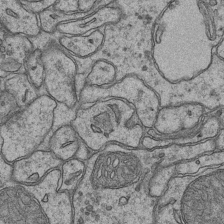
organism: Mouse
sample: CA1 Hippocampus